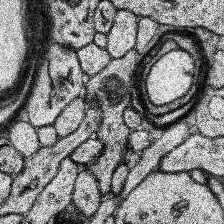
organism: Human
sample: Temporal Lobe